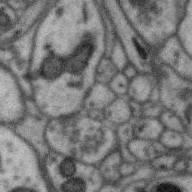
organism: Zebra finch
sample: Brain